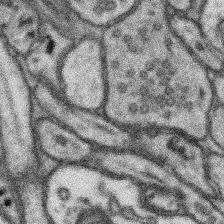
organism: Mouse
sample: Somatosensory cortex neuropil